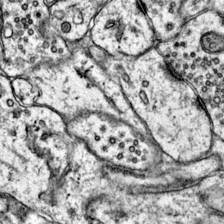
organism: Mouse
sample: Primary visual cortex